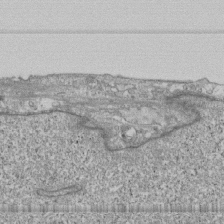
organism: Human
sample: Fibroblast cells